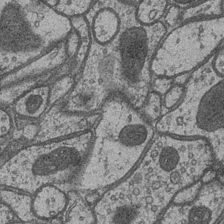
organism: Drosophila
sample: Optic medulla